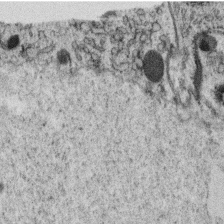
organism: C. elegans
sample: C. elegans oocyte; sperm cells